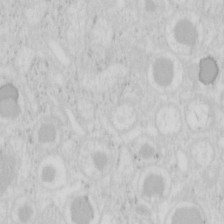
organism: Mouse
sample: Pancreas